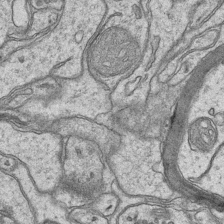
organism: Mouse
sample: CA1 Hippocampus